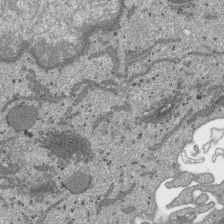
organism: Human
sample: Lung epithelial cells infected with SARS-CoV-2